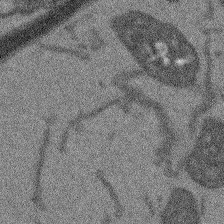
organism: Arabidopsis thaliana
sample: Root tip